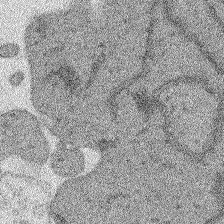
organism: Human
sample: HeLa cells